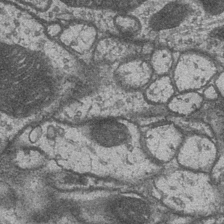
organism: Drosophila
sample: Optic medulla